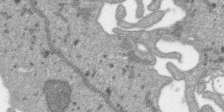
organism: Human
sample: Lung epithelial cells infected with SARS-CoV-2